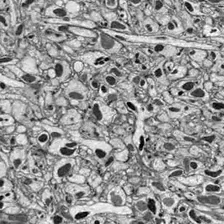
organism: Drosophila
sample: Optic lobe